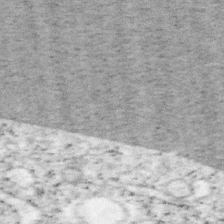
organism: Mouse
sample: OT-I killer T cells with ID8 ovarian cancer cells